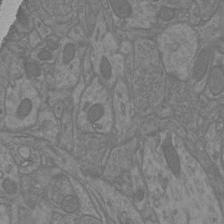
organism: Mouse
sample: Cortical neurons